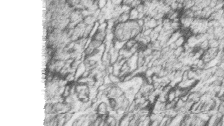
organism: Zebrafish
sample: synaptic ribbons in rod cells and cone cells